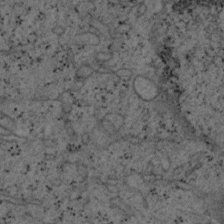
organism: Human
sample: HeLa cells